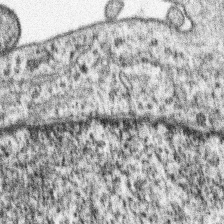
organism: Human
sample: HeLa cells